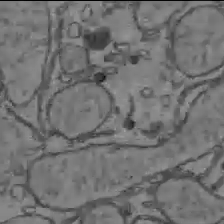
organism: C57BL Mouse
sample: Liver